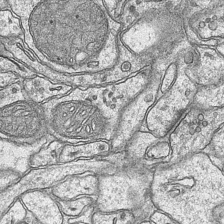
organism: Mouse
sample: CA1 Hippocampus